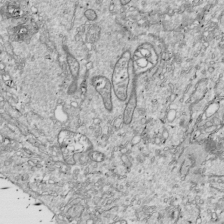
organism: Drosophila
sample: Cell division; meiosis; drosophila spermatocytes